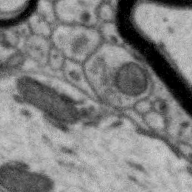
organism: Zebra finch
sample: Brain